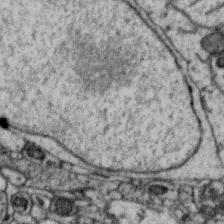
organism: Zebra finch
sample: Brain